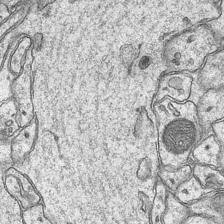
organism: Mouse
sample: CA1 Hippocampus